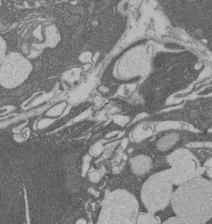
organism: Rat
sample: Salivary granule